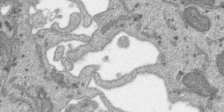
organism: Human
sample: Lung epithelial cells infected with SARS-CoV-2